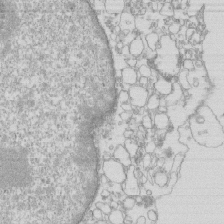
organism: Mouse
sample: Macrophages